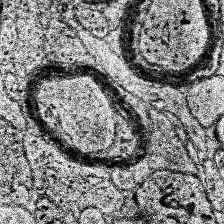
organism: Human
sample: Temporal Lobe